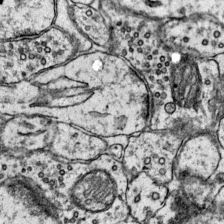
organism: Mouse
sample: Primary visual cortex